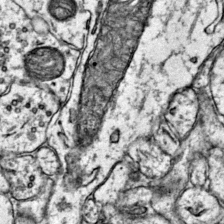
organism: Mouse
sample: Primary visual cortex